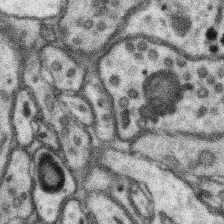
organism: Mouse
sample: Somatosensory cortex neuropil